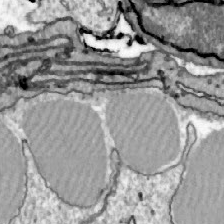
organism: Zebrafish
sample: Actinotrichia fibers